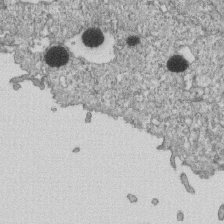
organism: Human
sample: HeLa cell HIV synapse